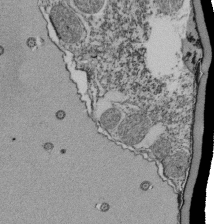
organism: Tetrahymena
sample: Cilia in tetrahymena